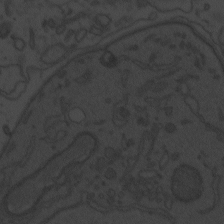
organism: Zebrafish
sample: Macrophage infected with Toxoplasma gondii